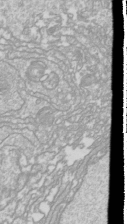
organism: Drosophila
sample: Cell division; meiosis; drosophila spermatocytes